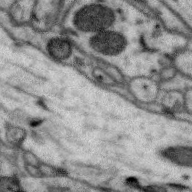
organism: Zebra finch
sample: Brain